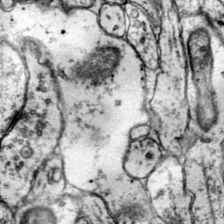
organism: Mouse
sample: Primary visual cortex